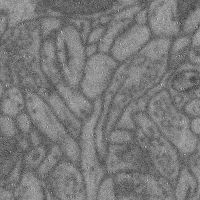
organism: Mouse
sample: Cerebral cortex